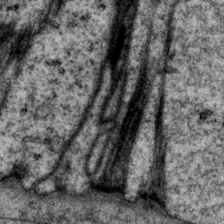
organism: P. pacificus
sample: Pharynx